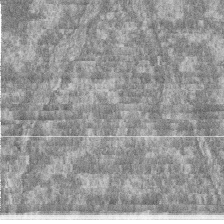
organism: Zebrafish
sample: Cilia; retinal pigment epithelium